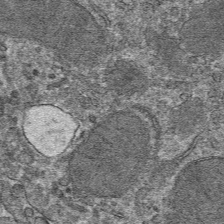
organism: Mouse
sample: Mouse hepatocytes